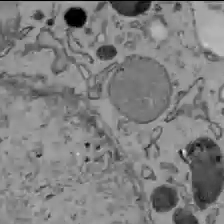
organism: C57BL Mouse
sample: Liver